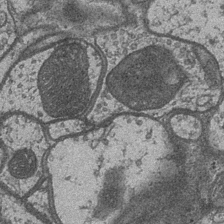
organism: Drosophila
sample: Optic medulla